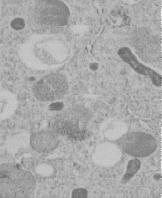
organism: C. elegans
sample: C. elegans embryo early stage